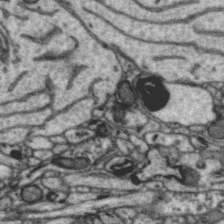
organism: Zebra finch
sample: Brain